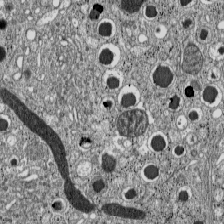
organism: C57BL Mouse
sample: Pancreatic islet